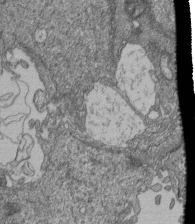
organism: Human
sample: Retinal organoid Rod and Cone cells